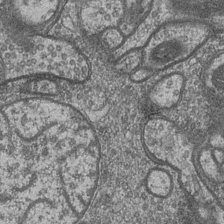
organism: Drosophila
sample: Optic medulla